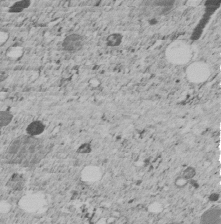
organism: C. elegans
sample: C. elegans embryo early stage